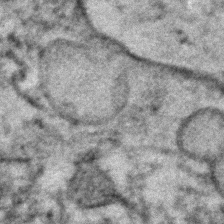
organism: Human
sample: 1205lu cells